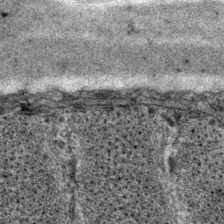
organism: P. pacificus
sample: Pharynx